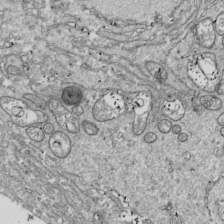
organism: Drosophila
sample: Cell division; meiosis; drosophila spermatocytes